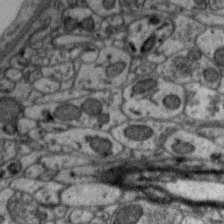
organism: Zebra finch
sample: Brain